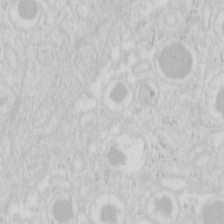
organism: Mouse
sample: Pancreas